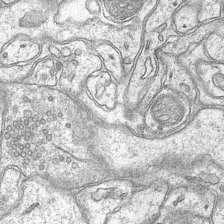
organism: Mouse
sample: CA1 Hippocampus